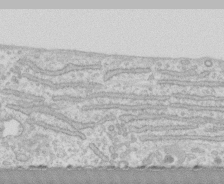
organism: Human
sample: CRL-1474